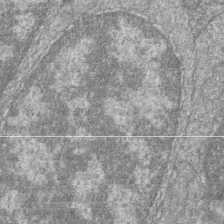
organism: Zebrafish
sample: Cilia; retinal pigment epithelium